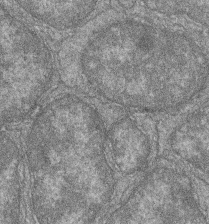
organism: Zebrafish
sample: Cilia; retinal pigment epithelium